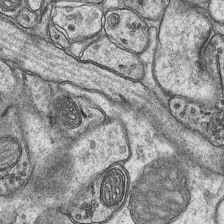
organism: Mouse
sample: CA1 Hippocampus